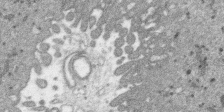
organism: Human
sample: Lung epithelial cells infected with SARS-CoV-2